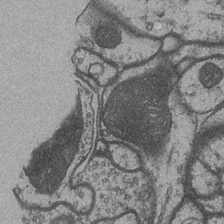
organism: Drosophila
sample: Optic medulla